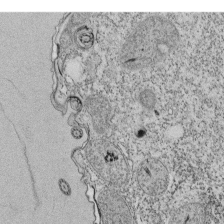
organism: Tetrahymena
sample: Cilia in tetrahymena